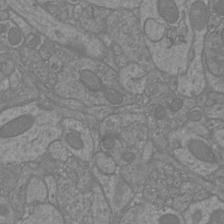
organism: Mouse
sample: Cortical neurons